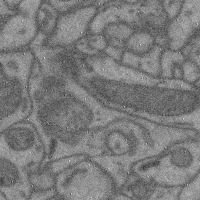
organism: Mouse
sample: Cerebral cortex